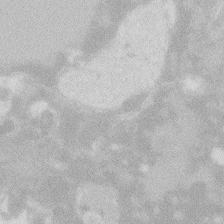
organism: Zebrafish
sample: Macrophage